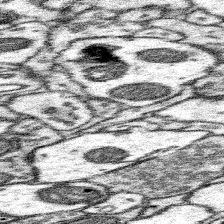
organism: Mouse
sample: Somatosensory cortex neuropil